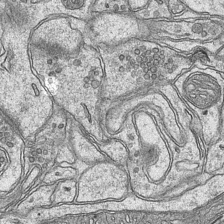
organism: Mouse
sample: CA1 Hippocampus